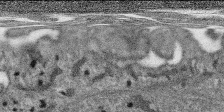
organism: Human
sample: Lung epithelial cells infected with SARS-CoV-2